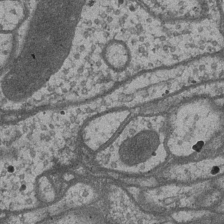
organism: Drosophila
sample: Optic medulla